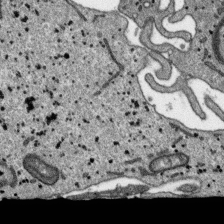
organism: Human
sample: Lung epithelial cells, uninfected (mock) control